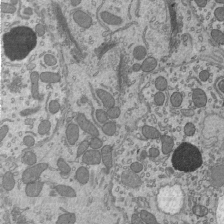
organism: Mouse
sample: Mouse epididymis efferent ductule cilia